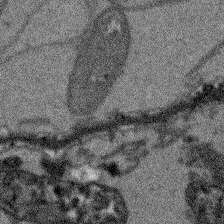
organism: Arabidopsis thaliana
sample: Root tip